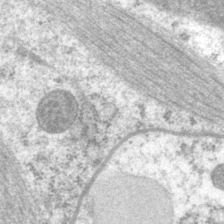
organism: P. pacificus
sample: Pharynx